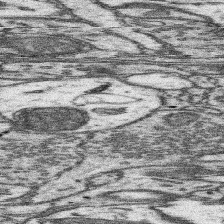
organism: Mouse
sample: Somatosensory cortex neuropil